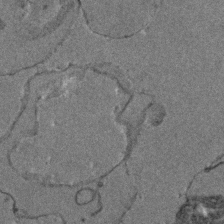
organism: Zebrafish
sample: Zebrafish embryo